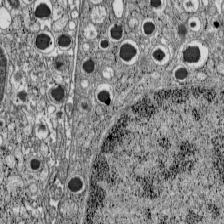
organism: C57BL Mouse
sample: Pancreatic islet